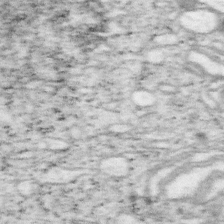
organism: Mouse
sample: OT-I killer T cells with ID8 ovarian cancer cells